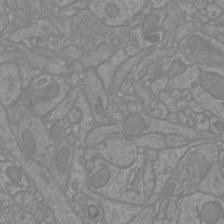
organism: Mouse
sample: Cortical neurons